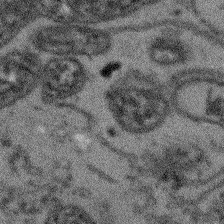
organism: Arabidopsis thaliana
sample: Root tip